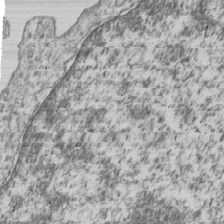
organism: Human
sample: MDA-MB-231 cells